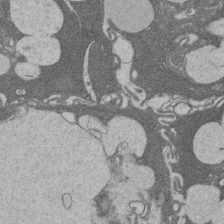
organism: Rat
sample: Salivary granule